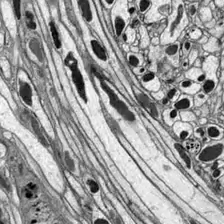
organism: Drosophila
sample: Optic lobe